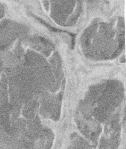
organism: Mouse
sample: T cell stromal cell synapse